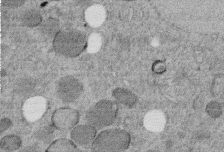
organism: C. elegans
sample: C. elegans embryo early stage